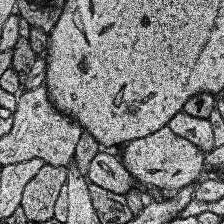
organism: Human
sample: Temporal Lobe